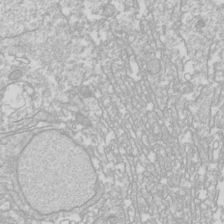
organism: Drosophila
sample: Cell division; meiosis; drosophila spermatocytes